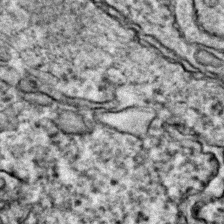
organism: Zebrafish